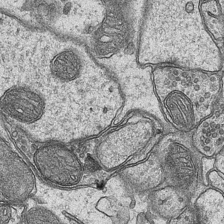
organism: Mouse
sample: CA1 Hippocampus